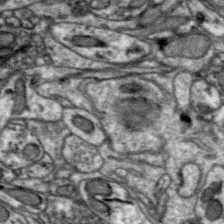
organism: Zebra finch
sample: Brain